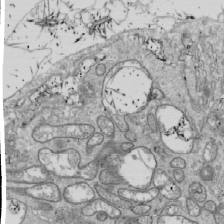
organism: Drosophila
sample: Cell division; meiosis; drosophila spermatocytes